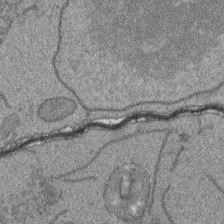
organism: Arabidopsis thaliana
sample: Root tip